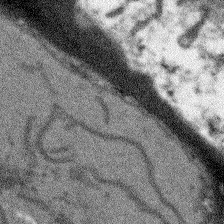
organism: Arabidopsis thaliana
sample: Root tip